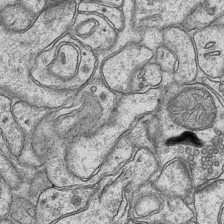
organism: Mouse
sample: CA1 Hippocampus